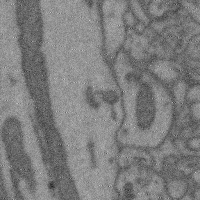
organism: Mouse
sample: Cerebral cortex